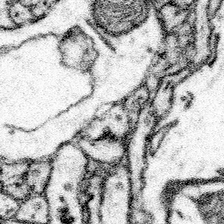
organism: Mouse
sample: Somatosensory cortex neuropil